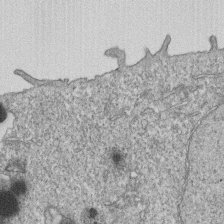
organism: Human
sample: HeLa cell HIV synapse